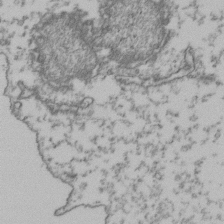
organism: Human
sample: Activated Jurkat CD4+ T cells